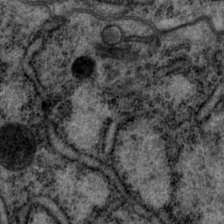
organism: P. pacificus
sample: Pharynx